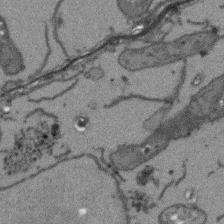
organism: Arabidopsis thaliana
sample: Root tip